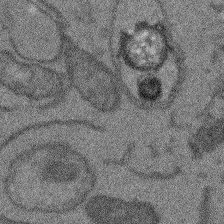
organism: Arabidopsis thaliana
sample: Root tip